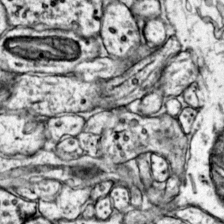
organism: Mouse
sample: Primary visual cortex